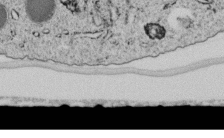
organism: C. elegans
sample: C. elegans embryo early stage